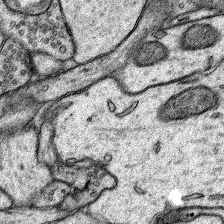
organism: Rat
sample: Hippocampus